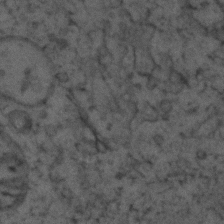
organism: Zebrafish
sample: Zebrafish embryo